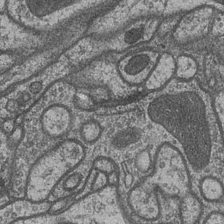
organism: Drosophila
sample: Optic medulla